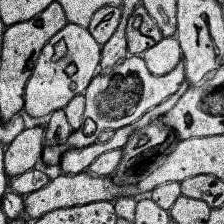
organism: Human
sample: Temporal Lobe